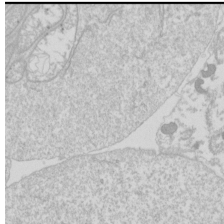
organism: Drosophila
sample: Cell division; meiosis; drosophila spermatocytes